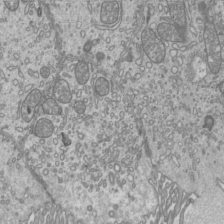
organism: Mouse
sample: Cilia; mouse epididymis